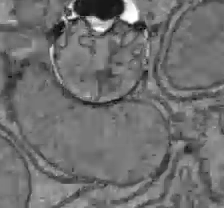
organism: C57BL Mouse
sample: Liver